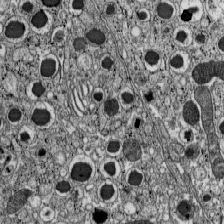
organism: C57BL Mouse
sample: Pancreatic islet